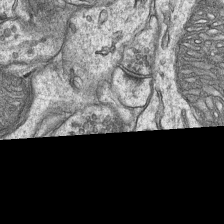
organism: Mouse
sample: CA1 Hippocampus